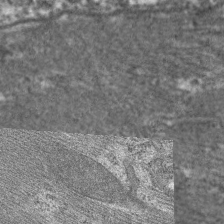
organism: C. elegans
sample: Pharynx